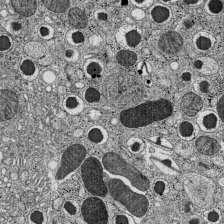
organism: C57BL Mouse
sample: Pancreatic islet